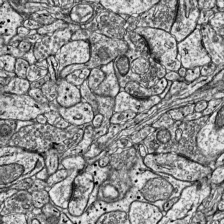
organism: Mouse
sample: Visual Cortex